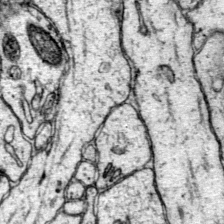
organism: Mouse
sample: Primary visual cortex